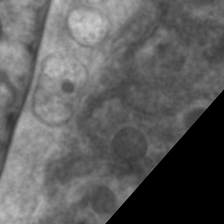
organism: C. elegans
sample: Pharynx